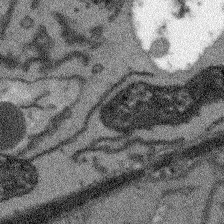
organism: Arabidopsis thaliana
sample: Root tip